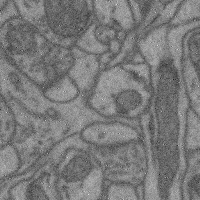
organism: Mouse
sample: Cerebral cortex